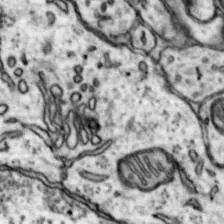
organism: Mouse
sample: Nucleus accumbens